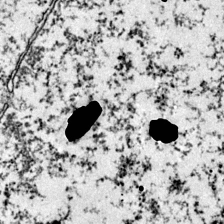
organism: Mouse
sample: Primary visual cortex